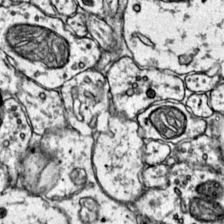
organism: Mouse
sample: Primary visual cortex